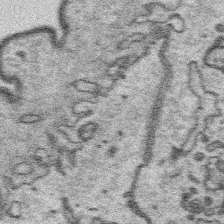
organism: Platynereis dumerilii